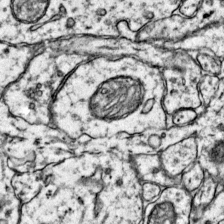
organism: Mouse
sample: Primary visual cortex